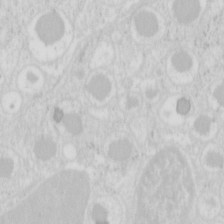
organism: Mouse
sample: Pancreas